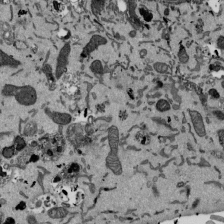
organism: Mouse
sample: ED-1 cell nuclei; centrioles